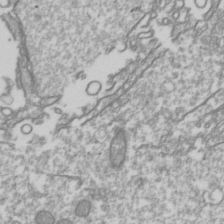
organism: Drosophila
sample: Cell division; meiosis; drosophila spermatocytes